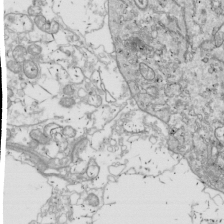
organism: Drosophila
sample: Cell division; meiosis; drosophila spermatocytes